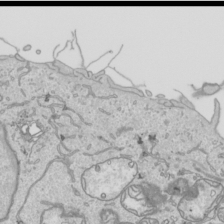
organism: Human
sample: Mitochondria in HCT116 cells